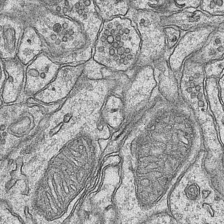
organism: Mouse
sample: CA1 Hippocampus